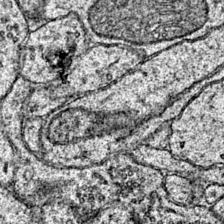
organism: Mouse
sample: Primary visual cortex